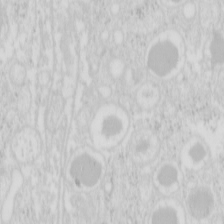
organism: Mouse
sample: Pancreas